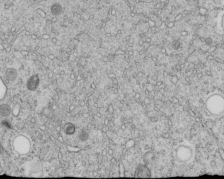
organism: C. elegans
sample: C. elegans embryo early stage